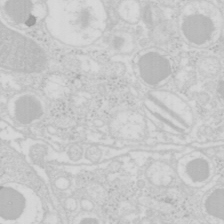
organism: Mouse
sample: Pancreas